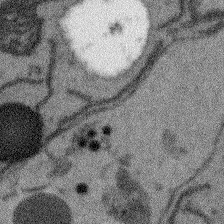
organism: Arabidopsis thaliana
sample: Root tip